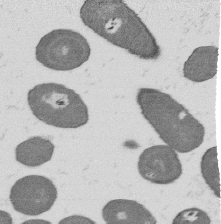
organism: B. subtilis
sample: Bacterial spore